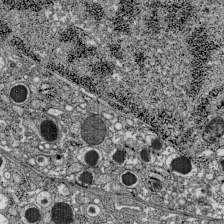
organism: C57BL Mouse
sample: Pancreatic islet